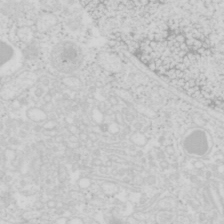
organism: Mouse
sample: Pancreas